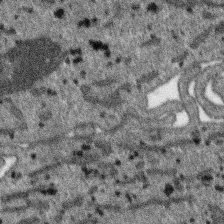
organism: Human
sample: Lung epithelial cells infected with SARS-CoV-2